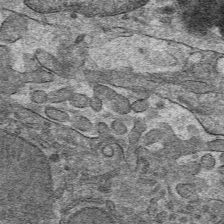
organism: Mouse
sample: Mouse hepatocytes